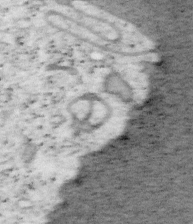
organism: Mouse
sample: OT-I killer T cells with ID8 ovarian cancer cells